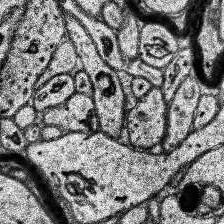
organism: Human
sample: Temporal Lobe